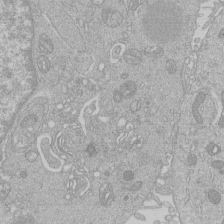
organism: Human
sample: Macrophage cells